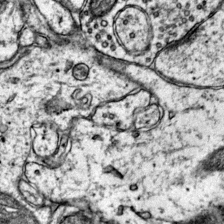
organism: Mouse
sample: Primary visual cortex